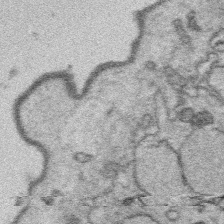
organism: Platynereis dumerilii